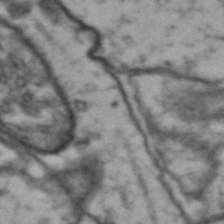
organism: Drosophila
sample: Brain